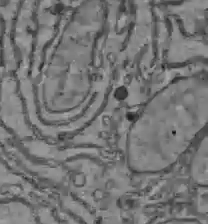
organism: C57BL Mouse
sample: Liver